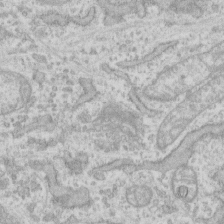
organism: Human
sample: Fibroblast cells